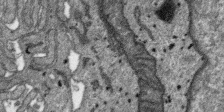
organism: Human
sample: Lung epithelial cells, uninfected (mock) control